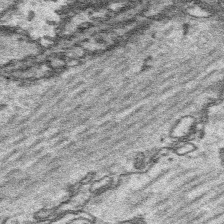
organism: Platynereis dumerilii